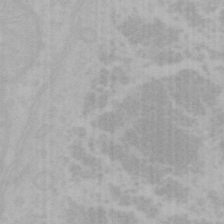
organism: Mouse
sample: Choroid plexus